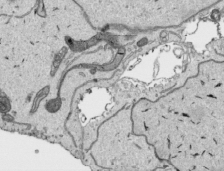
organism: Human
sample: Mitochondria in HCT116 cells